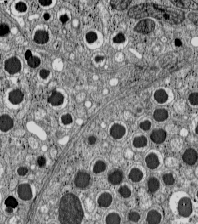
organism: C57BL Mouse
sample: Pancreatic islet